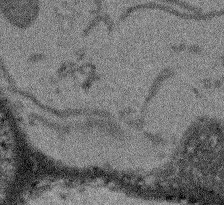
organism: Arabidopsis thaliana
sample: Root tip